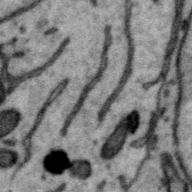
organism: Zebra finch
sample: Brain